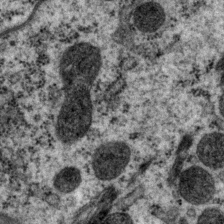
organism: P. pacificus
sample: Pharynx